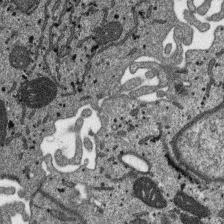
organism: Human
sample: Lung epithelial cells infected with SARS-CoV-2